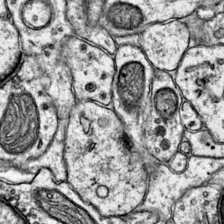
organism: Mouse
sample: Primary visual cortex